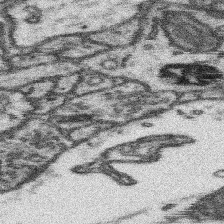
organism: Mouse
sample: Somatosensory cortex neuropil